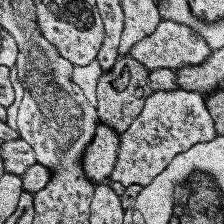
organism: Human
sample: Temporal Lobe